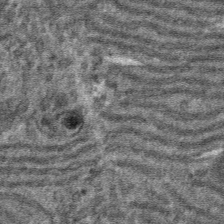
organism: Mouse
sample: Mouse hepatocytes